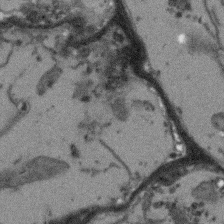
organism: Arabidopsis thaliana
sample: Root tip